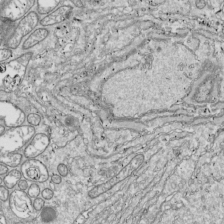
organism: Drosophila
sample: Cell division; meiosis; drosophila spermatocytes